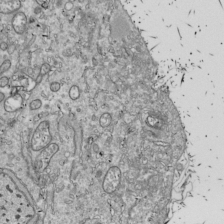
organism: Drosophila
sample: Cell division; meiosis; drosophila spermatocytes